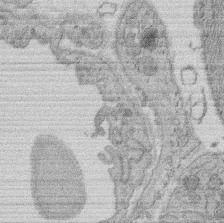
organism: Rat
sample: Salivary granule